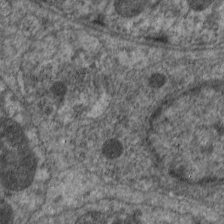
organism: C. elegans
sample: Pharynx